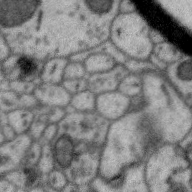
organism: Zebra finch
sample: Brain